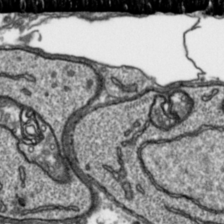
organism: Toxoplasma gondii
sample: Parasites in a vacuole inside a host cell